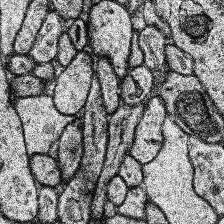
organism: Human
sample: Temporal Lobe